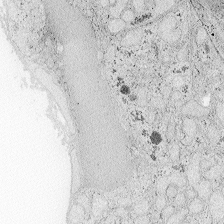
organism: Zebrafish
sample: Whole-Brain